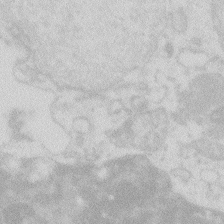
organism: Zebrafish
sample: Macrophage